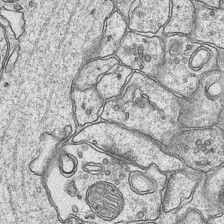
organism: Mouse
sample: CA1 Hippocampus